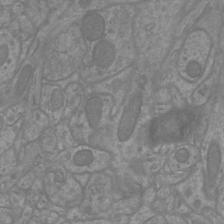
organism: Mouse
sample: Cortical neurons